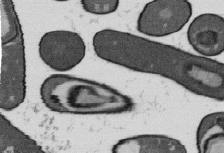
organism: B. subtilis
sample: Bacterial spore